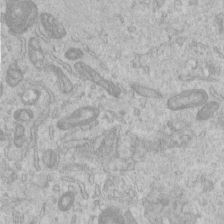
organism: Human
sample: Centriole in RPE cells